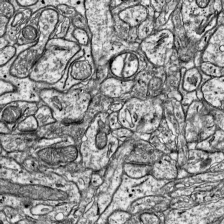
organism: Mouse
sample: Visual Cortex